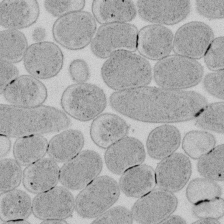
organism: E. coli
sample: Bacterial nucleoid